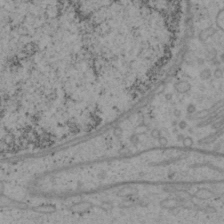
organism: Human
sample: HeLa cells